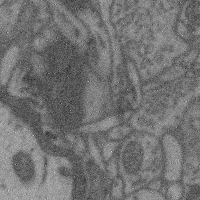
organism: Mouse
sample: Cerebral cortex